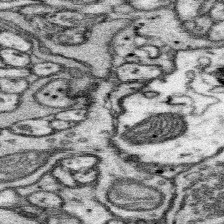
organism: Mouse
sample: Somatosensory cortex neuropil